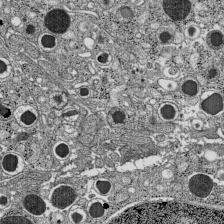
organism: C57BL Mouse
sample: Pancreatic islet